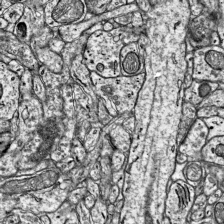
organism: Mouse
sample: Visual Cortex